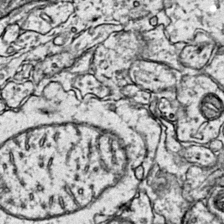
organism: Mouse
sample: Primary visual cortex